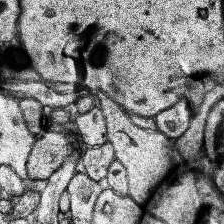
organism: Human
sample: Temporal Lobe